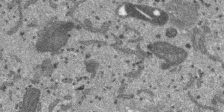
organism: Human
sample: Lung epithelial cells infected with SARS-CoV-2